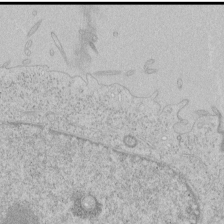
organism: Human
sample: Mitochondria in HCT116 cells